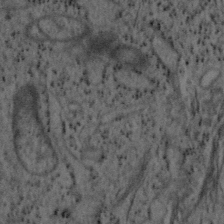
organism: Human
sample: HeLa cells